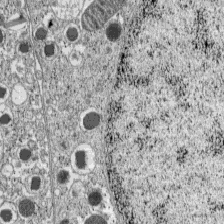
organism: C57BL Mouse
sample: Pancreatic islet